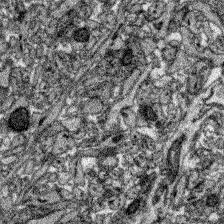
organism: Zebrafish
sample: Larval olfactory bulb